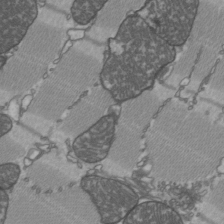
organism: C57BL Mouse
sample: Heart